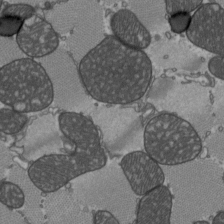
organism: C57BL Mouse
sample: Heart